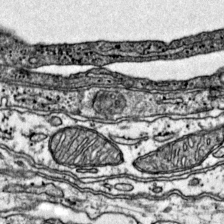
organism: Mouse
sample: Primary visual cortex